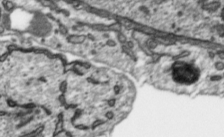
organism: Toxoplasma gondii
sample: Parasites in a vacuole inside a host cell